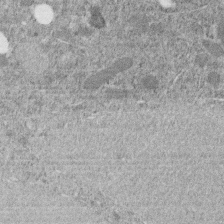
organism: C. elegans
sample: C. elegans embryo early stage